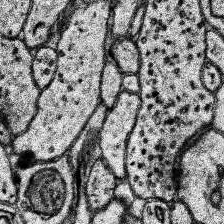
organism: Human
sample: Temporal Lobe